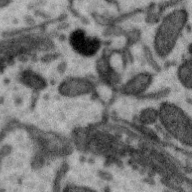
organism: Zebra finch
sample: Brain